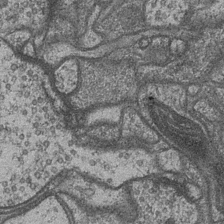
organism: Drosophila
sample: Optic medulla